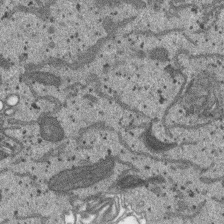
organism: Human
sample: Lung epithelial cells infected with SARS-CoV-2